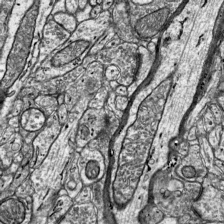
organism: Mouse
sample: Visual Cortex